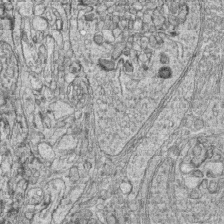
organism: Zebrafish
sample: synaptic ribbons in rod cells and cone cells